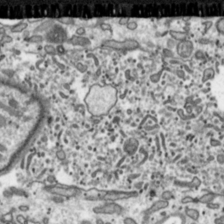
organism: Toxoplasma gondii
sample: Parasites in a vacuole inside a host cell